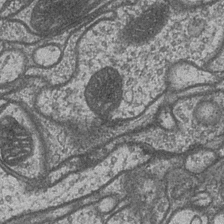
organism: Drosophila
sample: Optic medulla